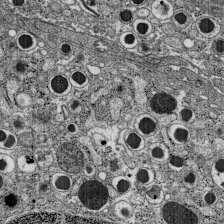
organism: C57BL Mouse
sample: Pancreatic islet